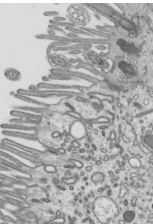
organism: Mouse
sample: Mouse epididymis efferent ductule cilia